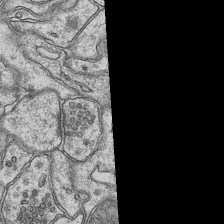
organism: Mouse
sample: CA1 Hippocampus